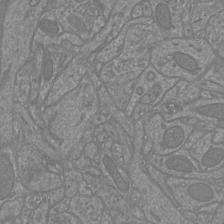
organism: Mouse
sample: Cortical neurons